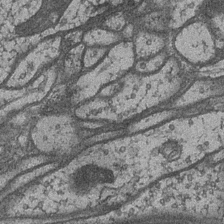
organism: Drosophila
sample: Optic medulla